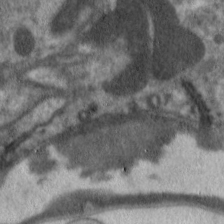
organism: C. elegans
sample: Pharynx